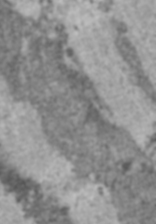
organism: C57BL Mouse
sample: Heart